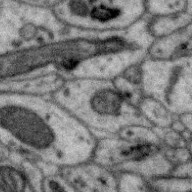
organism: Zebra finch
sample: Brain